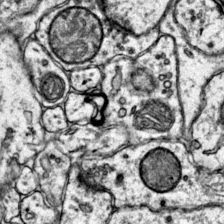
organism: Mouse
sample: Primary visual cortex